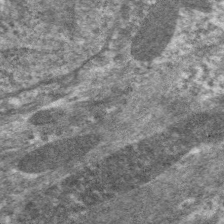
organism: C. elegans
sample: Pharynx